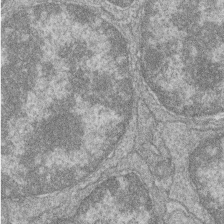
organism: Zebrafish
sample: Cilia; retinal pigment epithelium